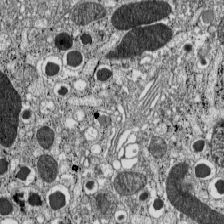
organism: C57BL Mouse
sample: Pancreatic islet